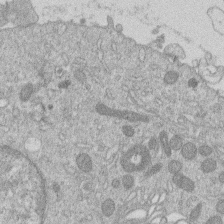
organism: Human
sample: Macrophage cells